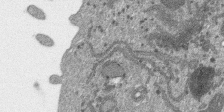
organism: Human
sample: Lung epithelial cells infected with SARS-CoV-2